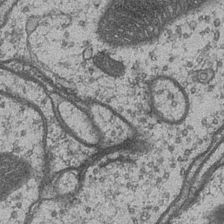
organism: Drosophila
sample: Optic medulla